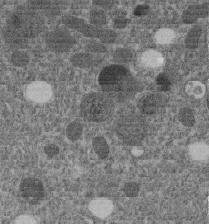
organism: C. elegans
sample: C. elegans embryo early stage